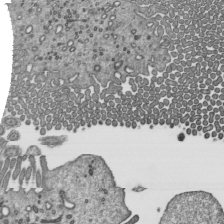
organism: Mouse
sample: Mouse epididymis efferent ductule cilia